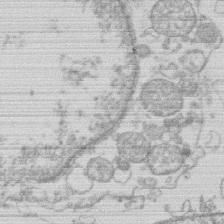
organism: Human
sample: Macrophage cells